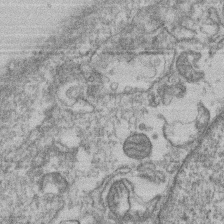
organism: Mouse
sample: T cell stromal cell synapse